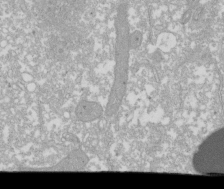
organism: Xenopus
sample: Cilia; centrioles in frog embryo cells